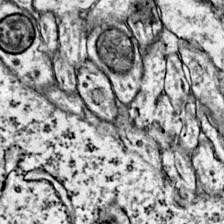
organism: Mouse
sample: Primary visual cortex